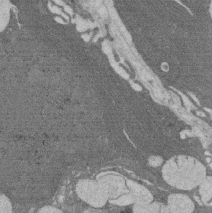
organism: Rat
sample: Salivary granule